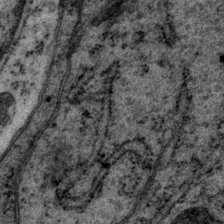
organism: P. pacificus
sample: Pharynx